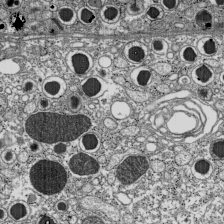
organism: C57BL Mouse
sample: Pancreatic islet